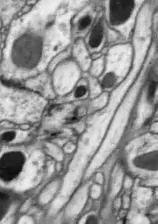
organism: Drosophila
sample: Optic lobe